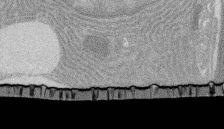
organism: Rat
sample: Salivary granule